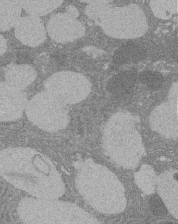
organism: Rat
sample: Salivary granule